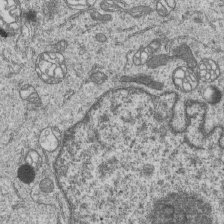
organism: Human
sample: MDA-MB-231 cells